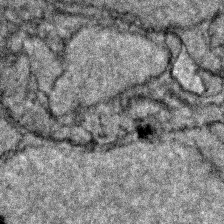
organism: Zebrafish